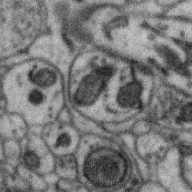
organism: Zebra finch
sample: Brain